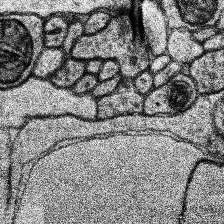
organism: Human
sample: Temporal Lobe